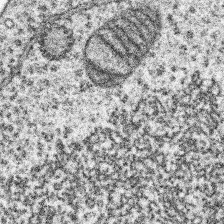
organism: Human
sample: HeLa cells